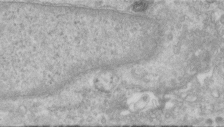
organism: Human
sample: Centriole in RPE cells